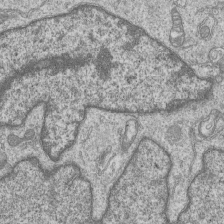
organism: Human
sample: MDA-MB-231 cells